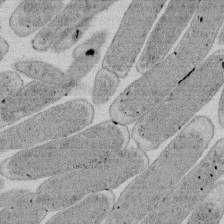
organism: E. coli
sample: Bacterial nucleoid